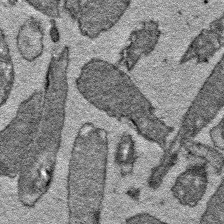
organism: E. coli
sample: E. Coli Bacteria